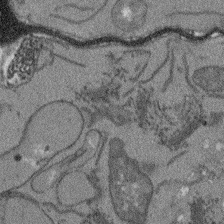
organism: Arabidopsis thaliana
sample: Root tip